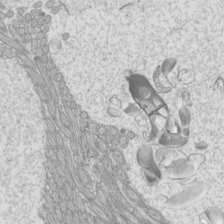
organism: Mouse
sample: Cilia; mouse epididymis